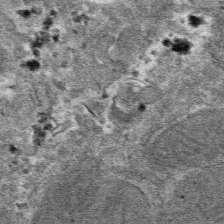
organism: Mouse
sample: Mouse hepatocytes